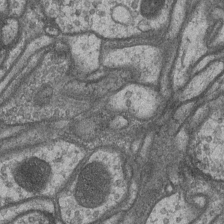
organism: Drosophila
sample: Optic medulla